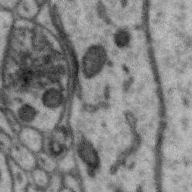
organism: Zebra finch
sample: Brain